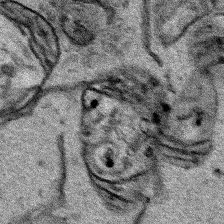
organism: Human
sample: Mitochondria in HCT116 cells